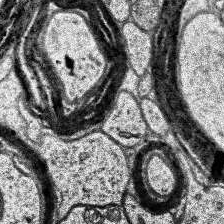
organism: Human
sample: Temporal Lobe